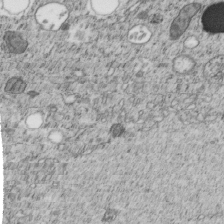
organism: C. elegans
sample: C. elegans embryo early stage